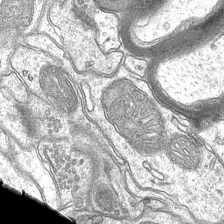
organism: Mouse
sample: CA1 Hippocampus